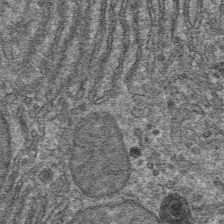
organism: Mouse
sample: Mouse hepatocytes